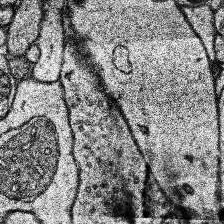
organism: Human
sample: Temporal Lobe